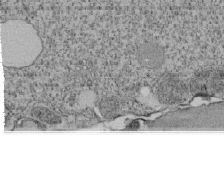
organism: Tetrahymena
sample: Cilia in tetrahymena